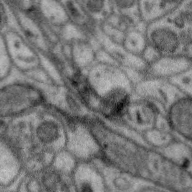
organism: Zebra finch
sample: Brain